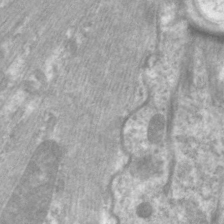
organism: C. elegans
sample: Pharynx